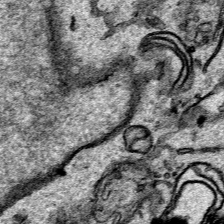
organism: Human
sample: Mitochondria in HCT116 cells